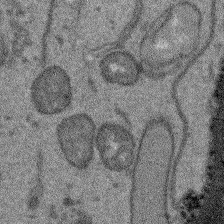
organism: Arabidopsis thaliana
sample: Root tip